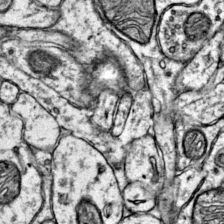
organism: Mouse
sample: Primary visual cortex